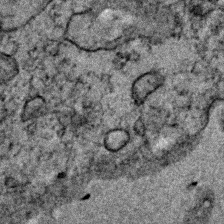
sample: Trachea